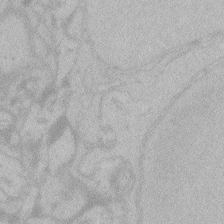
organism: Zebrafish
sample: Macrophage infected with Toxoplasma gondii